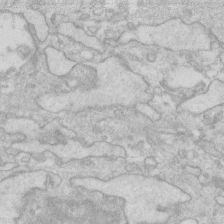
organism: Human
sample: Fibroblast cells